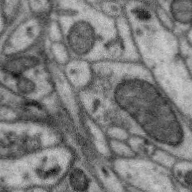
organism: Zebra finch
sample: Brain